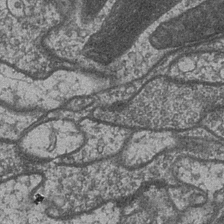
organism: Drosophila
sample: Optic medulla